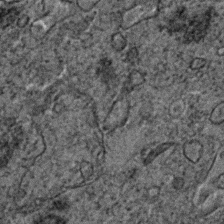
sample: Trachea